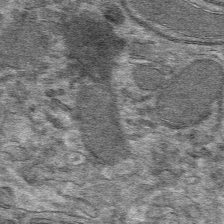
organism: Mouse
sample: Mouse hepatocytes